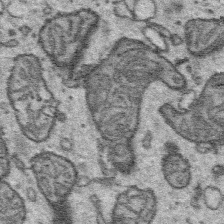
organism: Platynereis dumerilii